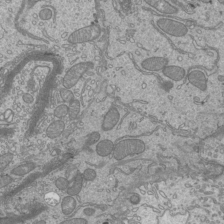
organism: Mouse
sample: Cilia; mouse epididymis